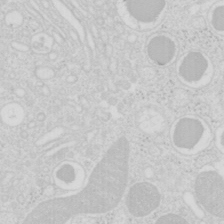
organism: Mouse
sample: Pancreas